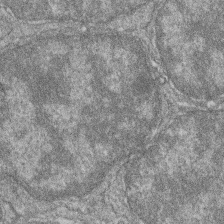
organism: Zebrafish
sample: Cilia; retinal pigment epithelium